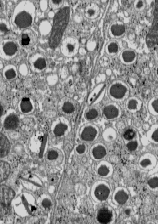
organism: C57BL Mouse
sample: Pancreatic islet